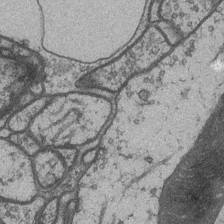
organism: Drosophila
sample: Optic medulla